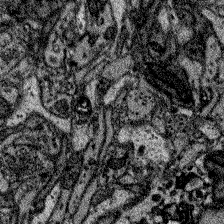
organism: Zebrafish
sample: Larval olfactory bulb